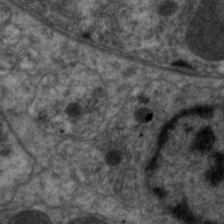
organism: C. elegans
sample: Pharynx